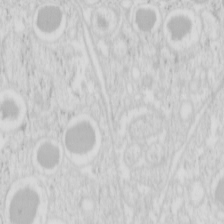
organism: Mouse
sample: Pancreas